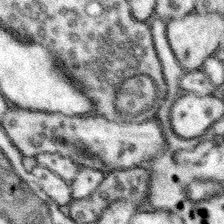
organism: Mouse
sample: Somatosensory cortex neuropil